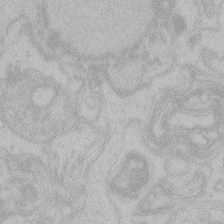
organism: Zebrafish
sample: Macrophage infected with Toxoplasma gondii